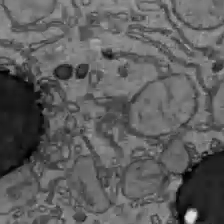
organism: C57BL Mouse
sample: Liver